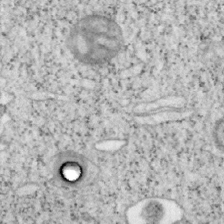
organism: Mouse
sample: OT-I killer T cells with ID8 ovarian cancer cells